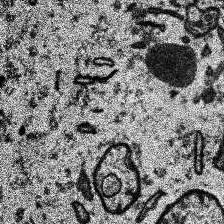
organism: Human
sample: Temporal Lobe